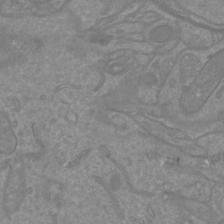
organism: Mouse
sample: Cortical neurons